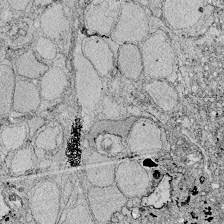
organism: Zebrafish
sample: Whole-Brain